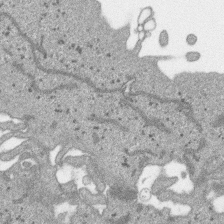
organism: Human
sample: Lung epithelial cells infected with SARS-CoV-2